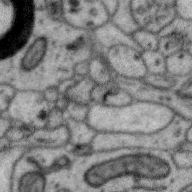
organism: Zebra finch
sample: Brain